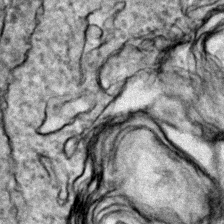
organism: Zebrafish